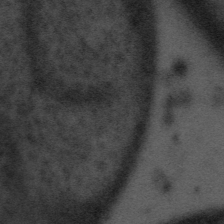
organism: Tuwongella immobilis